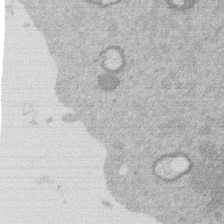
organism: Mouse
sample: Dividing mouse embryo 1 cell stage